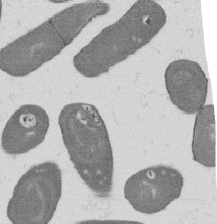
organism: B. subtilis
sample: Bacterial spore